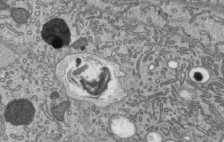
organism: Mouse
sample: Mouse epididymis efferent ductule cilia